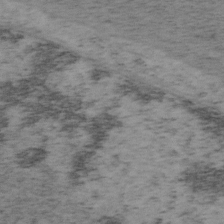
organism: Mouse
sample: OT-I killer T cells with ID8 ovarian cancer cells